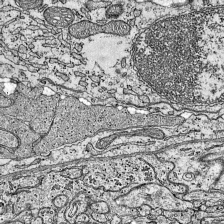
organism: Mouse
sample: Visual Cortex